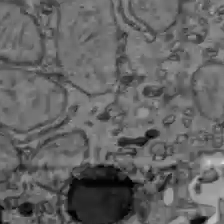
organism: C57BL Mouse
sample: Liver